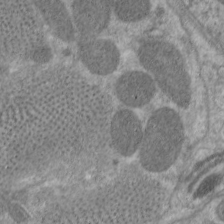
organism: C. elegans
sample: Pharynx